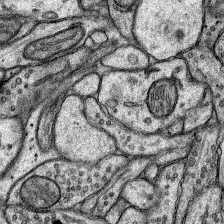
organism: Rat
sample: Hippocampus